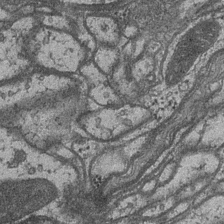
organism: Drosophila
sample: Optic medulla